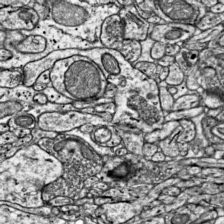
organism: Mouse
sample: Visual Cortex